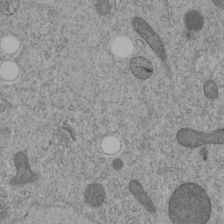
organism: C. elegans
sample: C. elegans embryo early stage